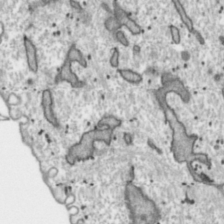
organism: Toxoplasma gondii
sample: Parasites in a vacuole inside a host cell